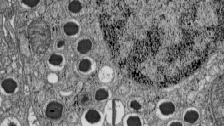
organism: C57BL Mouse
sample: Pancreatic islet